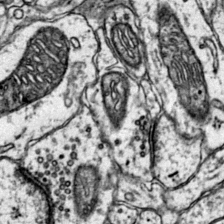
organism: Mouse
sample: Primary visual cortex